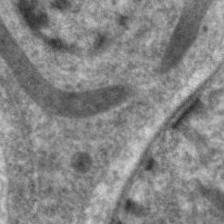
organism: C. elegans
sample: Pharynx